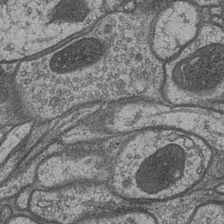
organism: Drosophila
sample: Optic medulla